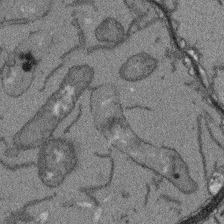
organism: Arabidopsis thaliana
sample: Root tip